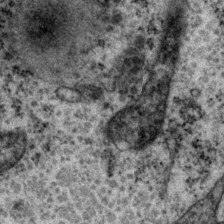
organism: P. pacificus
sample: Pharynx